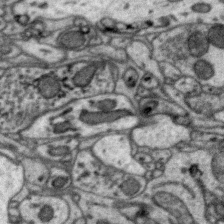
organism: Zebra finch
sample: Brain